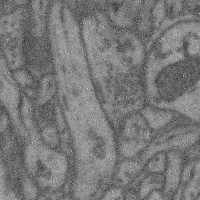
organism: Mouse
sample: Cerebral cortex